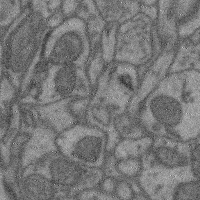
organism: Mouse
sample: Cerebral cortex